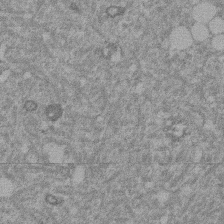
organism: Mouse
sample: Dividing mouse embryo 1 cell stage